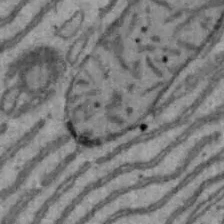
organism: Mouse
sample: Liver